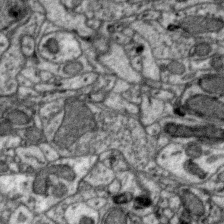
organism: Zebra finch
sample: Brain